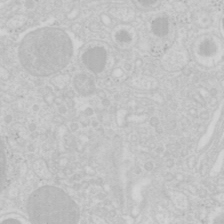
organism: Mouse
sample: Pancreas